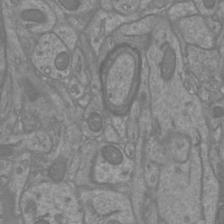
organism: Mouse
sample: Cortical neurons